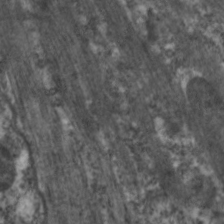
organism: C. elegans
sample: Pharynx